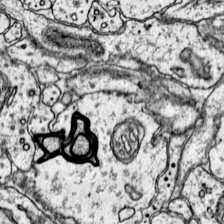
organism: Mouse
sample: Primary visual cortex